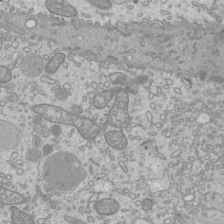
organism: Mouse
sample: Cilia; mouse epididymis